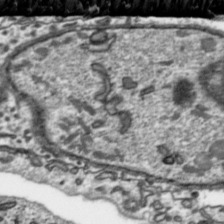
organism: Toxoplasma gondii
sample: Parasites in a vacuole inside a host cell